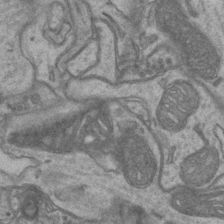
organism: Mouse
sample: CA1 Hippocampus